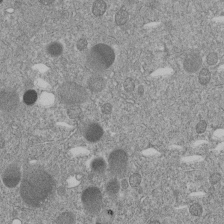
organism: C. elegans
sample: C. elegans embryo early stage